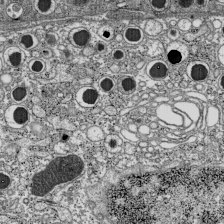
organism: C57BL Mouse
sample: Pancreatic islet